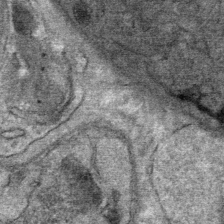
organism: Mouse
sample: Mouse Salivary gland